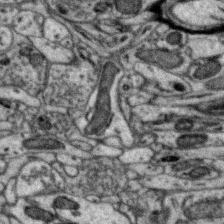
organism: Zebra finch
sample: Brain